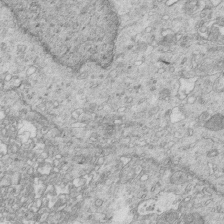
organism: Mouse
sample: Multiciliated cells